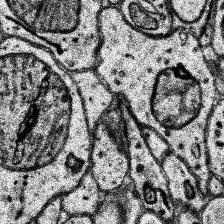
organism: Human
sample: Temporal Lobe